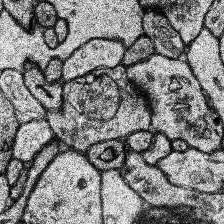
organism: Human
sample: Temporal Lobe